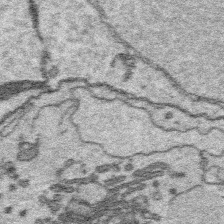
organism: Platynereis dumerilii